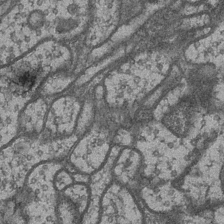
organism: Drosophila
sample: Optic medulla